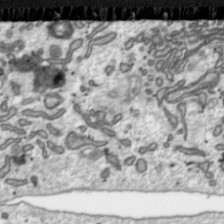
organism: Toxoplasma gondii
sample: Parasites in a vacuole inside a host cell